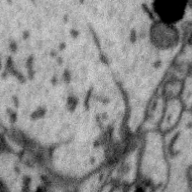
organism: Zebra finch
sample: Brain